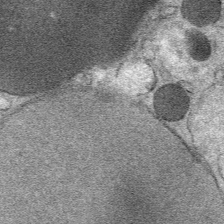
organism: Mouse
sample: Mouse Salivary gland